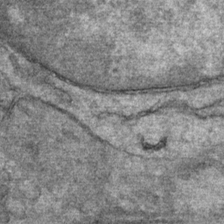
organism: Mouse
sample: Mouse Salivary gland